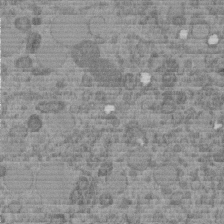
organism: C. elegans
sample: C. elegans embryo early stage